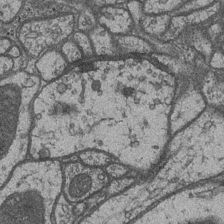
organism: Drosophila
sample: Optic medulla